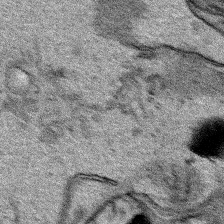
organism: Human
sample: Mitochondria in HCT116 cells